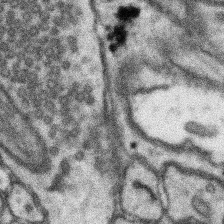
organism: Mouse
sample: Somatosensory cortex neuropil